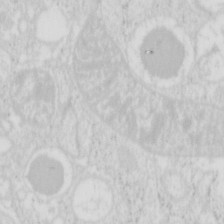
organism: Mouse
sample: Pancreas